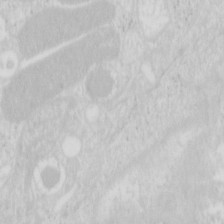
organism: Mouse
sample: Pancreas